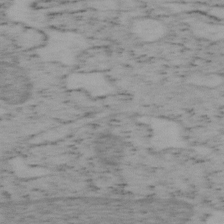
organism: Mouse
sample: OT-I killer T cells with ID8 ovarian cancer cells